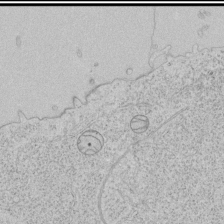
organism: Human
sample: Mitochondria in HCT116 cells